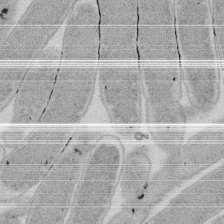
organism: E. coli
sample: Bacterial nucleoid